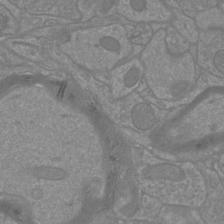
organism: Mouse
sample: Cortical neurons